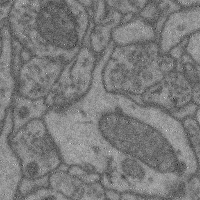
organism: Mouse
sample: Cerebral cortex